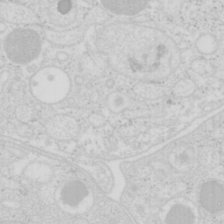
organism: Mouse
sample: Pancreas